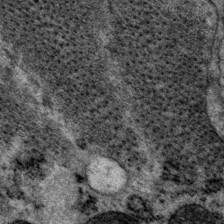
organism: P. pacificus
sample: Pharynx